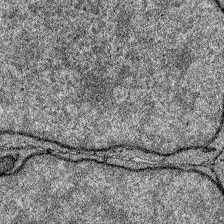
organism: Zebrafish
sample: Larval olfactory bulb